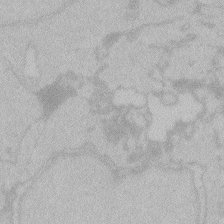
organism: Zebrafish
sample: Macrophage infected with Toxoplasma gondii